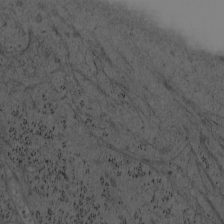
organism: Mouse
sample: OT-I killer T cells with ID8 ovarian cancer cells